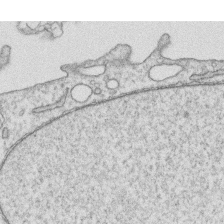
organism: Human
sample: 1205lu cells